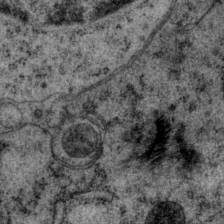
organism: P. pacificus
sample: Pharynx